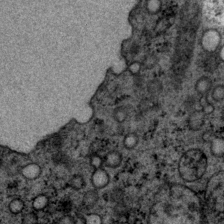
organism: P. pacificus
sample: Pharynx